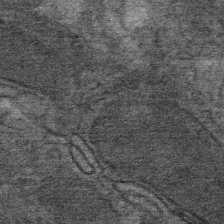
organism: Mouse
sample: Mouse Salivary gland